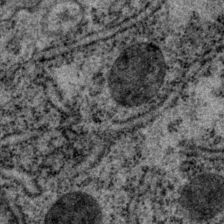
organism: P. pacificus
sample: Pharynx